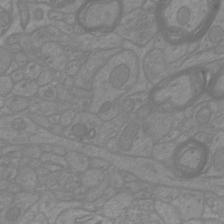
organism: Mouse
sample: Cortical neurons